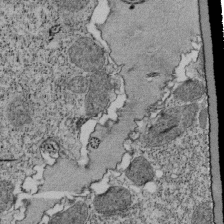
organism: Tetrahymena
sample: Cilia in tetrahymena